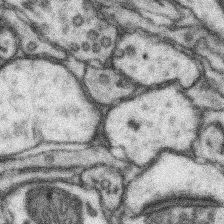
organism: Mouse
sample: Somatosensory cortex neuropil